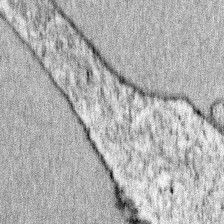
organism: Human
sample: HeLa cells